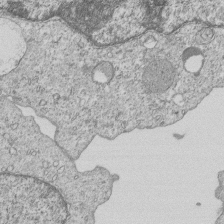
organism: Human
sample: MDA-MB-231 cells